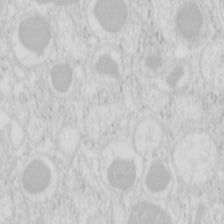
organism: Mouse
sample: Pancreas